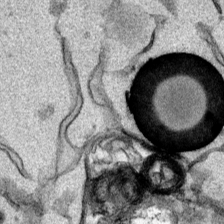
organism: Mouse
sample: Cancer cell death in ED-1 cells